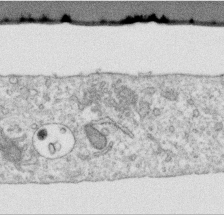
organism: Human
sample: Centriole in RPE cells